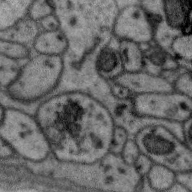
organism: Zebra finch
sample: Brain